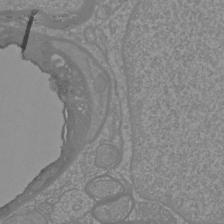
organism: Mouse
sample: Cortical neurons